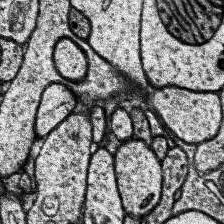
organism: Human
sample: Temporal Lobe